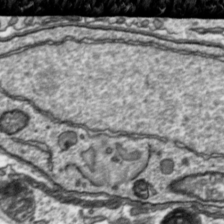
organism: Toxoplasma gondii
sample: Parasites in a vacuole inside a host cell